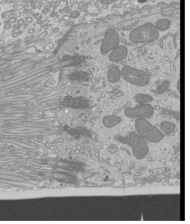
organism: Mouse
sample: Cilia; mouse epididymis